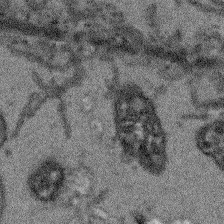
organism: Arabidopsis thaliana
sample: Root tip